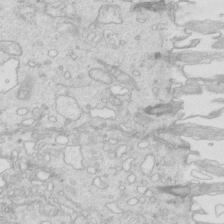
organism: Mouse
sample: Multiciliated cells